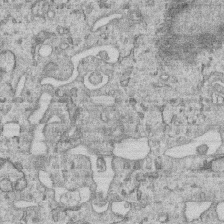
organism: Human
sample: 1205lu cells